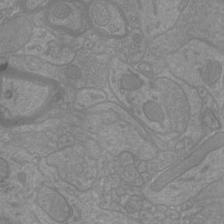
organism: Mouse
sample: Cortical neurons